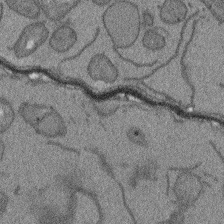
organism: Arabidopsis thaliana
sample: Root tip